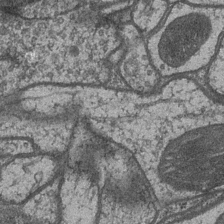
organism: Drosophila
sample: Optic medulla